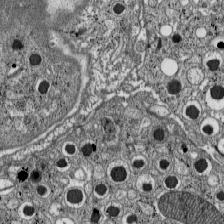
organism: C57BL Mouse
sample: Pancreatic islet